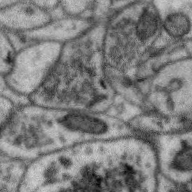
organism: Zebra finch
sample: Brain